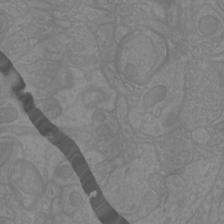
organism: Mouse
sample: Cortical neurons